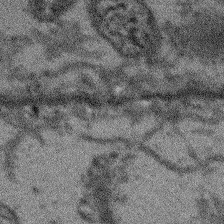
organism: Arabidopsis thaliana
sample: Root tip